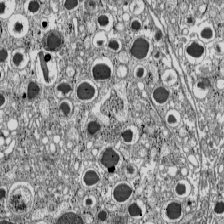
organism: C57BL Mouse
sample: Pancreatic islet